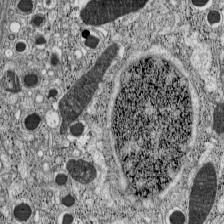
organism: C57BL Mouse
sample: Pancreatic islet